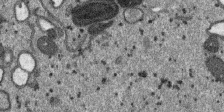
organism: Human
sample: Lung epithelial cells infected with SARS-CoV-2